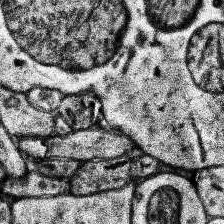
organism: Human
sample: Temporal Lobe